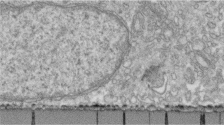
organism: Human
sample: Centriole in fibroblast cells